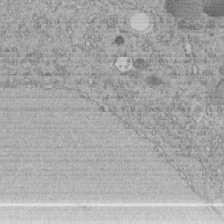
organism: C. elegans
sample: C. elegans embryo early stage